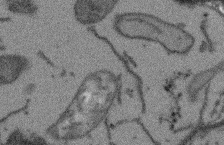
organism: Arabidopsis thaliana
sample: Root tip